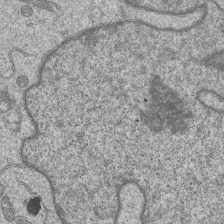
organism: Human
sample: MDA-MB-231 cells